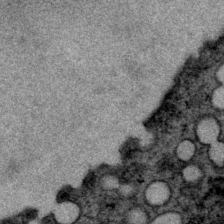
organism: P. pacificus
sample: Pharynx